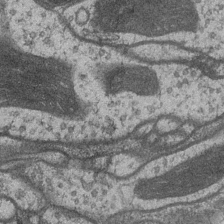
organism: Drosophila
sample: Optic medulla